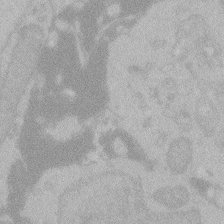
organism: Zebrafish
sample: Macrophage infected with Toxoplasma gondii